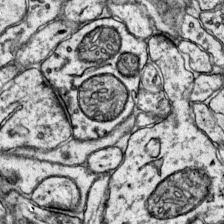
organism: Mouse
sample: Primary visual cortex